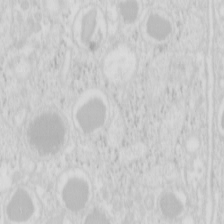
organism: Mouse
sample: Pancreas